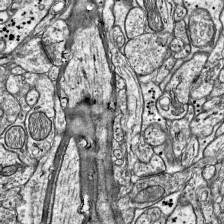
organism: Mouse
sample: Visual Cortex